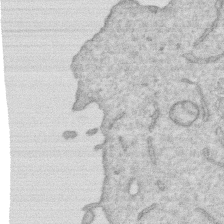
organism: Human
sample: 1205lu cells